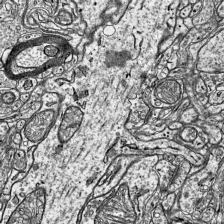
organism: Mouse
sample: Visual Cortex